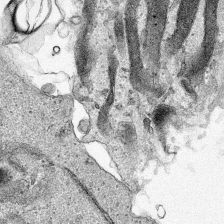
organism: Human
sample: Mitochondria in HCT116 cells